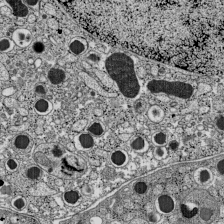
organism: C57BL Mouse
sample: Pancreatic islet